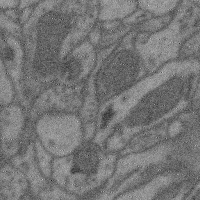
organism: Mouse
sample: Cerebral cortex